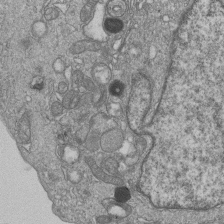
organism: Human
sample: MDA-MB-231 cells